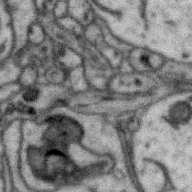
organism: Zebra finch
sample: Brain